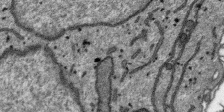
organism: Human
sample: Lung epithelial cells, uninfected (mock) control